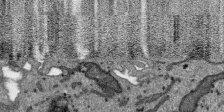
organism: Human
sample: Lung epithelial cells, uninfected (mock) control